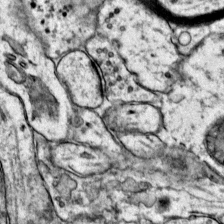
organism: Mouse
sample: Primary visual cortex